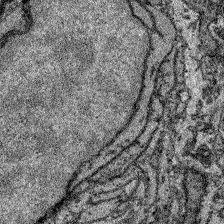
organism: Zebrafish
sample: Larval olfactory bulb